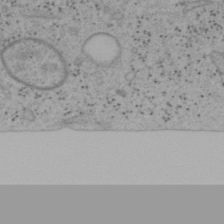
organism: Human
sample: HeLa cells